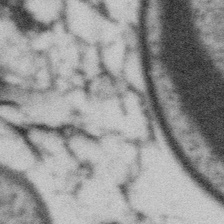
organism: Gemmata obscuriglobus